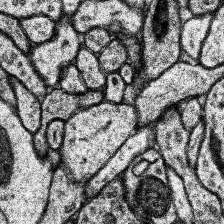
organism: Human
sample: Temporal Lobe